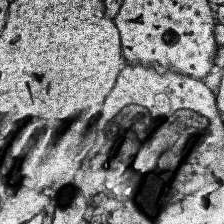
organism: Human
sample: Temporal Lobe